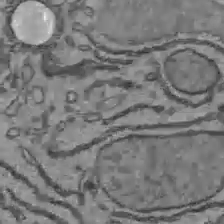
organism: C57BL Mouse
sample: Liver